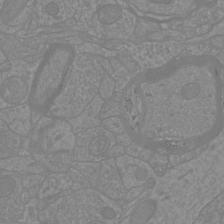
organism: Mouse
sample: Cortical neurons